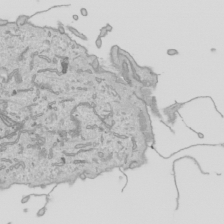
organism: Human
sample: Mitochondria in HCT116 cells